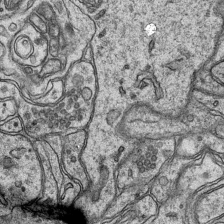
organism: Mouse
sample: CA1 Hippocampus